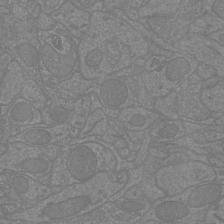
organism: Mouse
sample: Cortical neurons